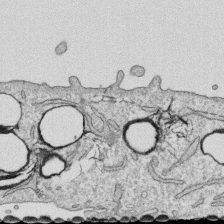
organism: Human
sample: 1205lu cells